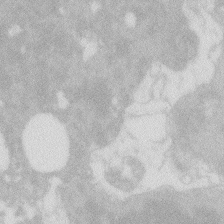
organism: Zebrafish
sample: Macrophage